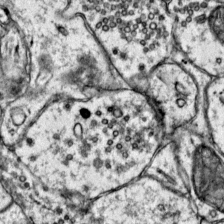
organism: Mouse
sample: Primary visual cortex